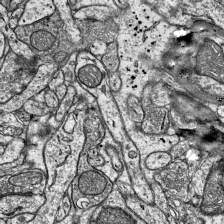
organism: Mouse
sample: Visual Cortex